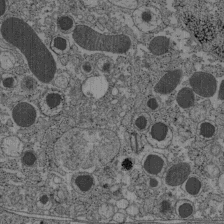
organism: C57BL Mouse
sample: Pancreatic islet